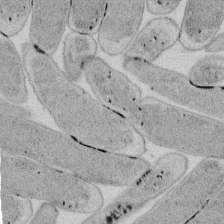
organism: E. coli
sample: Bacterial nucleoid